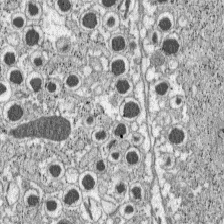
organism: C57BL Mouse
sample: Pancreatic islet